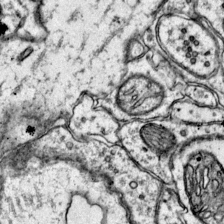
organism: Mouse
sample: Primary visual cortex